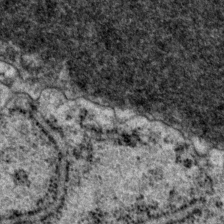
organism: P. pacificus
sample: Pharynx